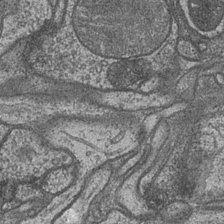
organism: Drosophila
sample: Optic medulla